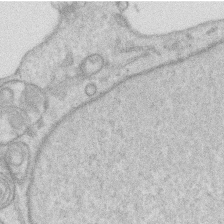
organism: Human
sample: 1205lu cells